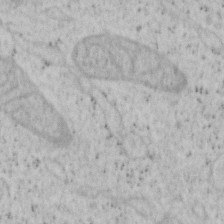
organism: Human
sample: HeLa cells